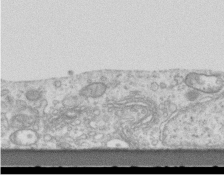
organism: Mouse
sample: Centriole in ependymal cells